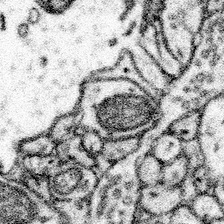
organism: Mouse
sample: Somatosensory cortex neuropil